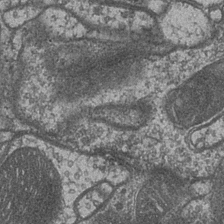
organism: Drosophila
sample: Optic medulla